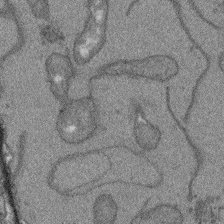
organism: Arabidopsis thaliana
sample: Root tip